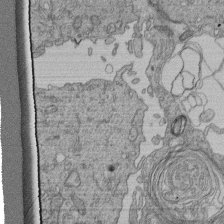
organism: Human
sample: Retinal organoid Rod and Cone cells